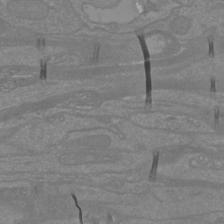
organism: Mouse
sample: Cortical neurons